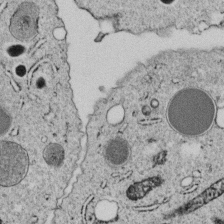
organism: C. elegans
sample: C. elegans embryo early stage